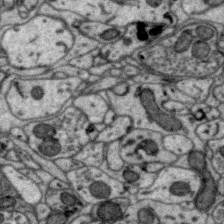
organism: Zebra finch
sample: Brain